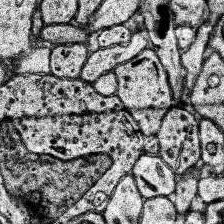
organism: Human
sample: Temporal Lobe